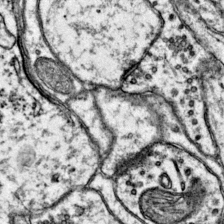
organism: Mouse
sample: Primary visual cortex